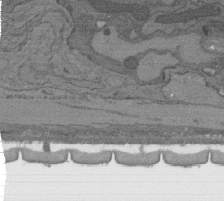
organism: C. elegans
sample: AFD neurons C. elegans